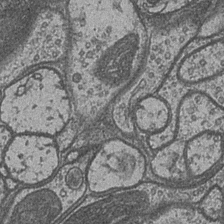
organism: Drosophila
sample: Optic medulla